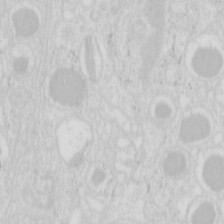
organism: Mouse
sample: Pancreas